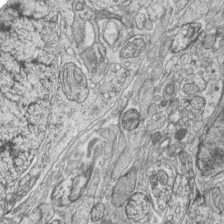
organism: Zebrafish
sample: synaptic ribbons in rod cells and cone cells